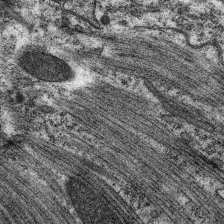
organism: C. elegans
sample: Pharynx